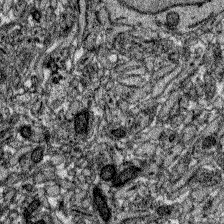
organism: Zebrafish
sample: Larval olfactory bulb